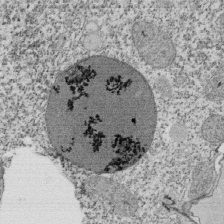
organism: Tetrahymena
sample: Cilia in tetrahymena